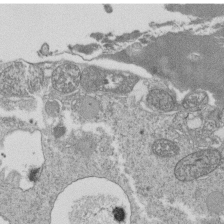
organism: Tetrahymena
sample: Cilia in tetrahymena